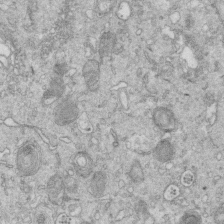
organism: Mouse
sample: Multiciliated cells